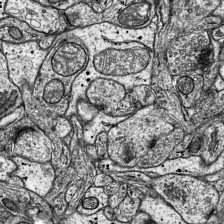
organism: Mouse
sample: Visual Cortex